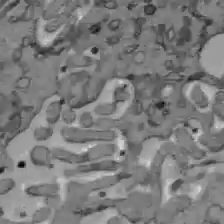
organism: C57BL Mouse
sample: Liver